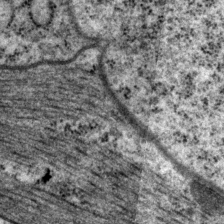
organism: P. pacificus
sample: Pharynx